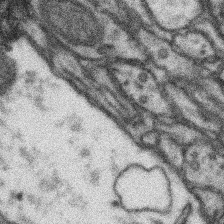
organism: Mouse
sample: Somatosensory cortex neuropil